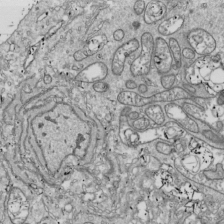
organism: Drosophila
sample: Cell division; meiosis; drosophila spermatocytes